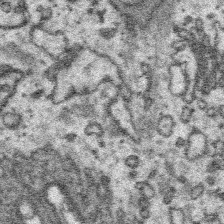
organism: Platynereis dumerilii